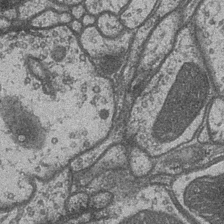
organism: Drosophila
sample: Optic medulla